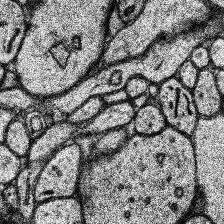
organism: Human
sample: Temporal Lobe